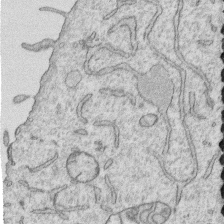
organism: Human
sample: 1205lu cells